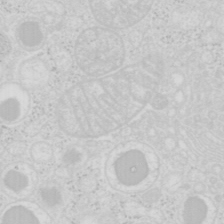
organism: Mouse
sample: Pancreas